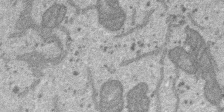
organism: Human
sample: Lung epithelial cells infected with SARS-CoV-2